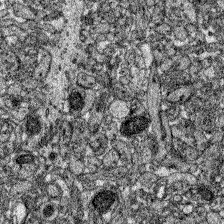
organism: Zebrafish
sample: Larval olfactory bulb